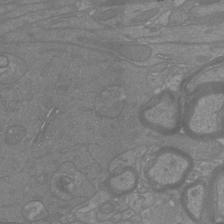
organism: Mouse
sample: Cortical neurons